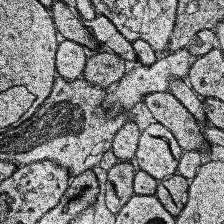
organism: Human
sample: Temporal Lobe